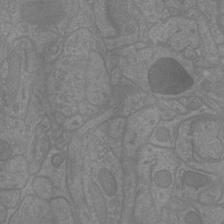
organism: Mouse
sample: Cortical neurons